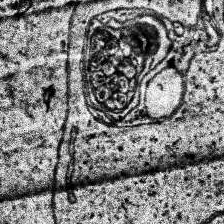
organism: Human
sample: Temporal Lobe